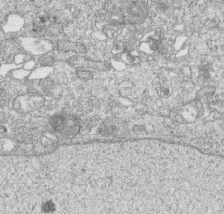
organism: Human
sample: HeLa cell HIV synapse